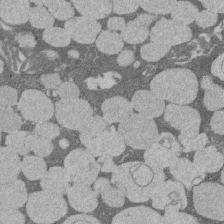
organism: Rat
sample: Salivary granule